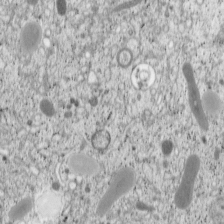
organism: African green monkey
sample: COS-7 cells